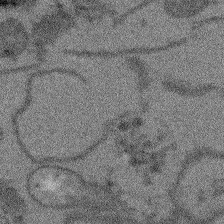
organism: Arabidopsis thaliana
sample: Root tip